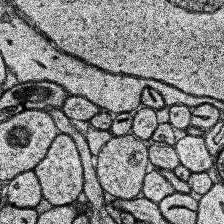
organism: Human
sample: Temporal Lobe